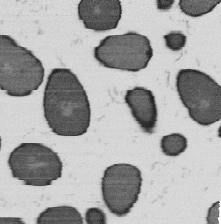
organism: B. subtilis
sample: Bacterial spore